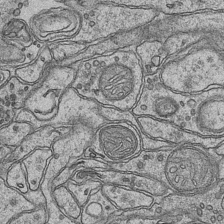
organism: Mouse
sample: CA1 Hippocampus